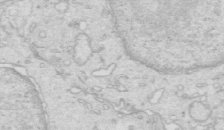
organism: Mouse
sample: Multiciliated cells